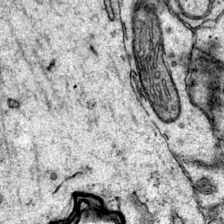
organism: Mouse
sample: Primary visual cortex